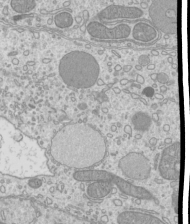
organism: Mouse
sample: Cilia; mouse epididymis